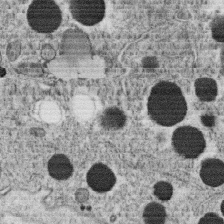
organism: C. elegans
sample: C. elegans oocyte; sperm cells